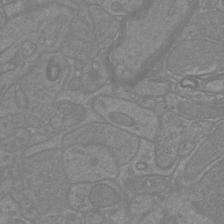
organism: Mouse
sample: Cortical neurons